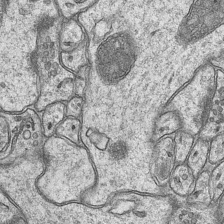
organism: Mouse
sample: CA1 Hippocampus